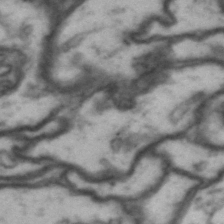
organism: Drosophila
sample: Brain